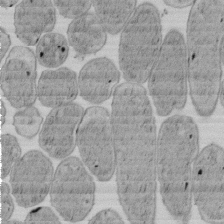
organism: E. coli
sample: Bacterial nucleoid